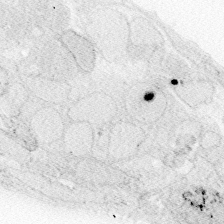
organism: Zebrafish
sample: Whole-Brain